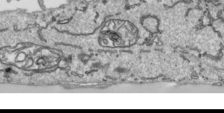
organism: Human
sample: Mitochondria in HCT116 cells